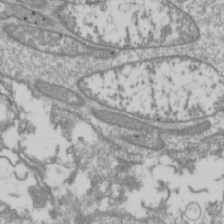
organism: Drosophila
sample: Cell division; meiosis; drosophila spermatocytes